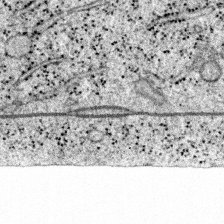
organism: Human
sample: HeLa cells